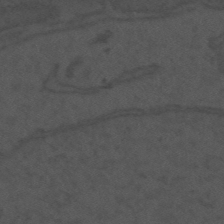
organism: Mouse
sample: Suprachiasmatic nucleus